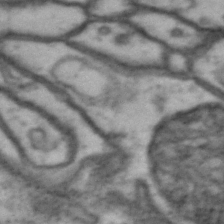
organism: Drosophila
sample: Brain